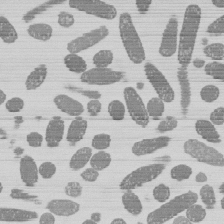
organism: E. coli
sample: Bacterial nucleoid